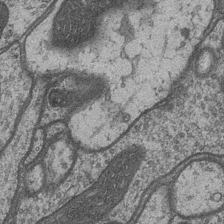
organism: Drosophila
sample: Optic medulla